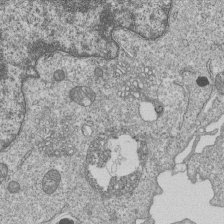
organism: Human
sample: MDA-MB-231 cells